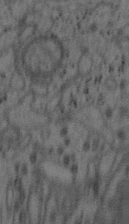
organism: Human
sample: HeLa cells